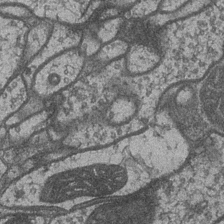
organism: Drosophila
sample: Optic medulla